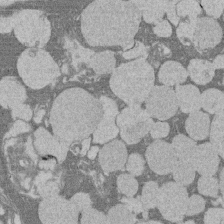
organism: Rat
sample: Salivary granule